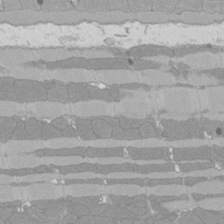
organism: Rat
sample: Left ventricle